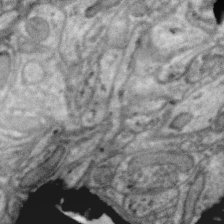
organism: Zebra finch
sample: Brain